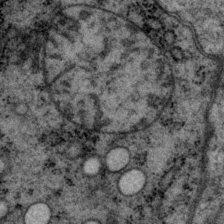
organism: P. pacificus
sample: Pharynx